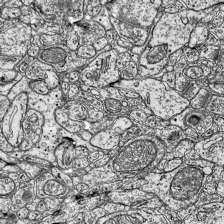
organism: Mouse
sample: Visual Cortex